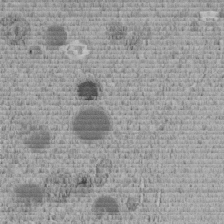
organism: C. elegans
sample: C. elegans embryo early stage